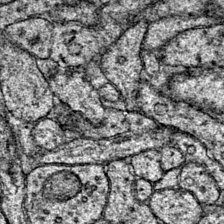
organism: Mouse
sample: Primary visual cortex